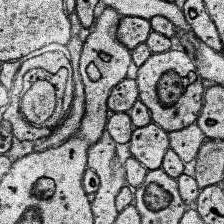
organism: Human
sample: Temporal Lobe